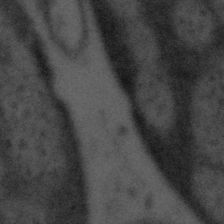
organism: Tuwongella immobilis